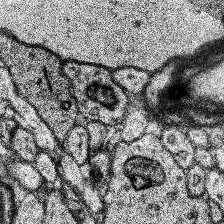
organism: Human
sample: Temporal Lobe